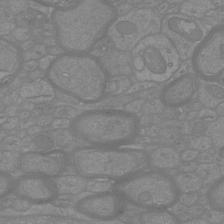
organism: Mouse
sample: Cortical neurons